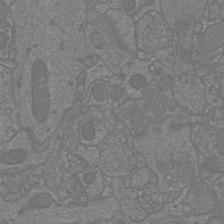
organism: Mouse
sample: Cortical neurons